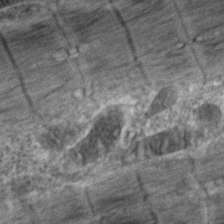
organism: Zebrafish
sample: Zebrafish embryo